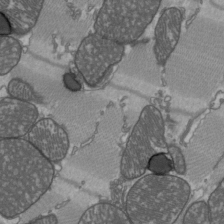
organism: C57BL Mouse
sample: Heart